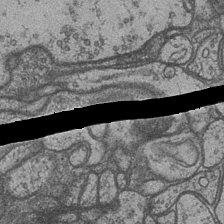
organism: Drosophila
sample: Optic medulla